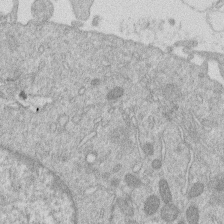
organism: Human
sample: Macrophage cells